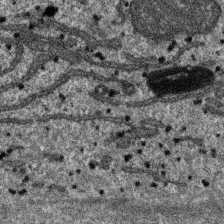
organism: Human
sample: Lung epithelial cells infected with SARS-CoV-2